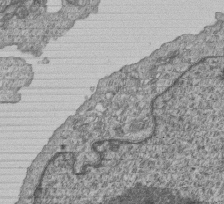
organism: Human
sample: MDA-MB-231 cells